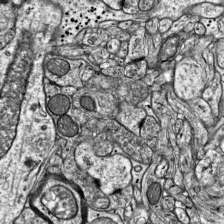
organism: Mouse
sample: Visual Cortex